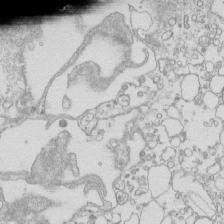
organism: Mouse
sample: Macrophages